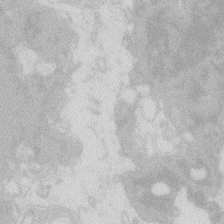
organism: Zebrafish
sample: Macrophage